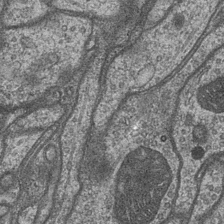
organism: Drosophila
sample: Optic medulla